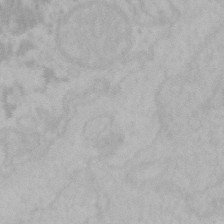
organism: Mouse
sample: Choroid plexus